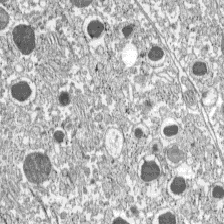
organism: C57BL Mouse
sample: Pancreatic islet